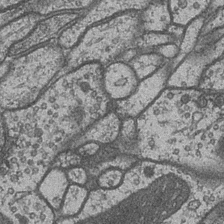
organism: Drosophila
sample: Optic medulla